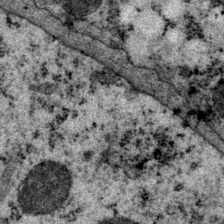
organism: P. pacificus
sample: Pharynx